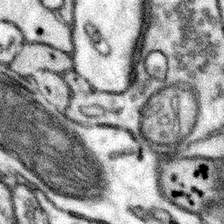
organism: Mouse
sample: Somatosensory cortex neuropil